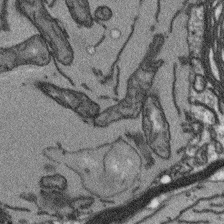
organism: Arabidopsis thaliana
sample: Root tip